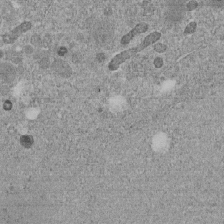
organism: C. elegans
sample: C. elegans embryo early stage